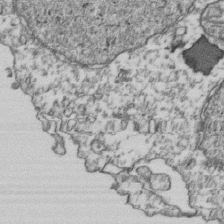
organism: Human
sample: Activated Jurkat CD4+ T cells